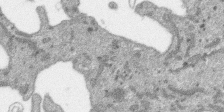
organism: Human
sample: Lung epithelial cells infected with SARS-CoV-2